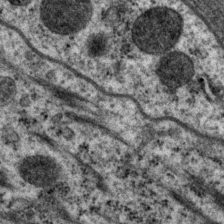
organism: P. pacificus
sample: Pharynx